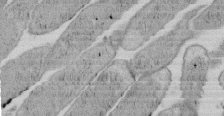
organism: E. coli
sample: Bacterial nucleoid